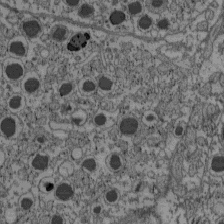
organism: C57BL Mouse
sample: Pancreatic islet